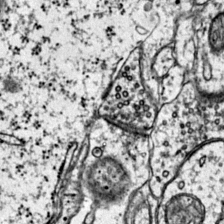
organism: Mouse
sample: Primary visual cortex